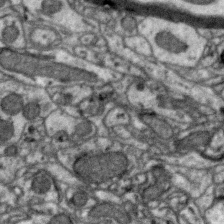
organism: Zebra finch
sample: Brain